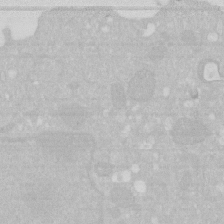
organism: Human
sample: HIV infected U937 cells